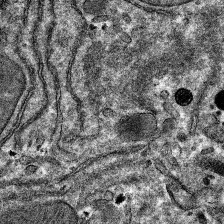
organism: Mouse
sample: Mouse hepatocytes